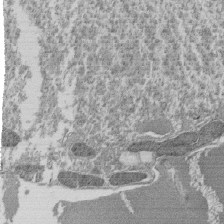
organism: Tetrahymena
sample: Cilia in tetrahymena